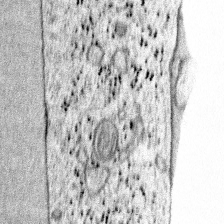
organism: Human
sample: HeLa cells